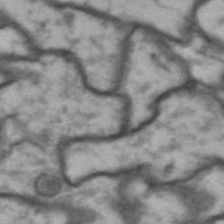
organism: Drosophila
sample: Brain